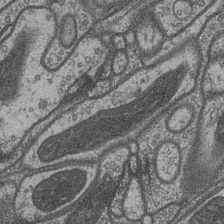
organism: Drosophila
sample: Optic medulla